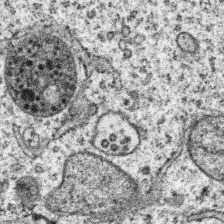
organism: Human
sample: HeLa cells